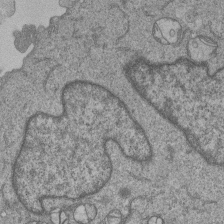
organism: Human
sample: MDA-MB-231 cells